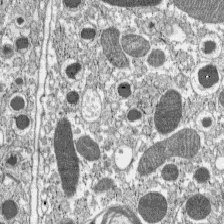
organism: C57BL Mouse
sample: Pancreatic islet